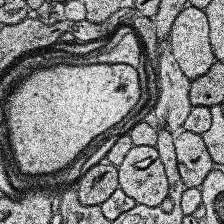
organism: Human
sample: Temporal Lobe